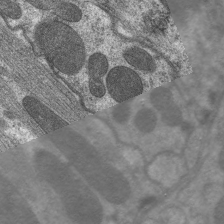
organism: C. elegans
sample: Pharynx